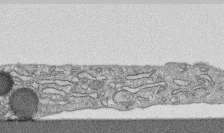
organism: Human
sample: CRL-1474